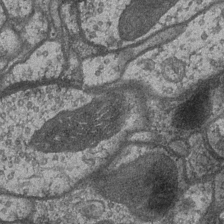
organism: Drosophila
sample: Optic medulla